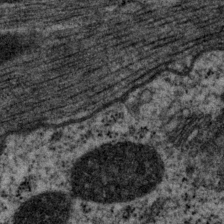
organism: P. pacificus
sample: Pharynx